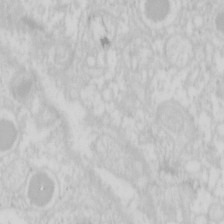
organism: Mouse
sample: Pancreas